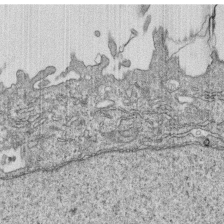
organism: Human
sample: HeLa cell HIV synapse